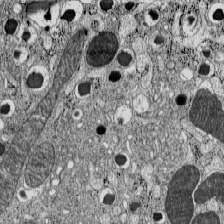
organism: C57BL Mouse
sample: Pancreatic islet